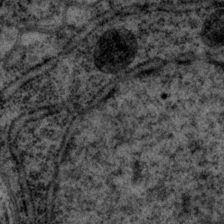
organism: P. pacificus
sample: Pharynx